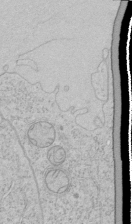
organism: Human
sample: Mitochondria in HCT116 cells